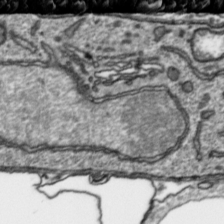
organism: Toxoplasma gondii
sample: Parasites in a vacuole inside a host cell